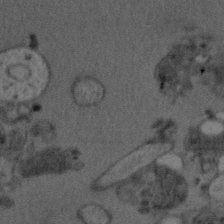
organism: Human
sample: HeLa cells